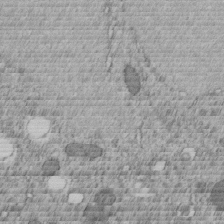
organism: C. elegans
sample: C. elegans embryo early stage